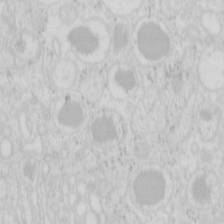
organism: Mouse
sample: Pancreas